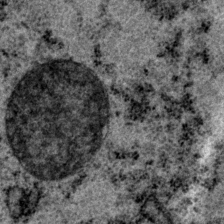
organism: P. pacificus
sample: Pharynx